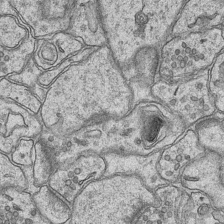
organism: Mouse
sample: CA1 Hippocampus